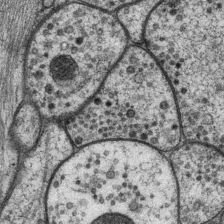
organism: P. pacificus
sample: Pharynx